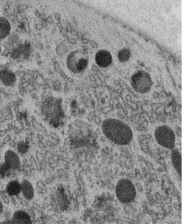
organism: C. elegans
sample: C. elegans oocyte; sperm cells